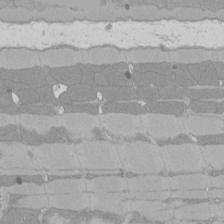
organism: Rat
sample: Left ventricle